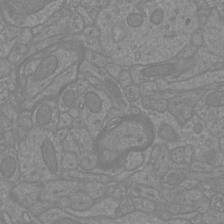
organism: Mouse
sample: Cortical neurons